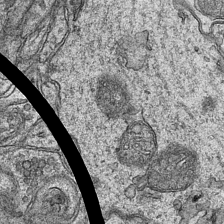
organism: Mouse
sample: CA1 Hippocampus